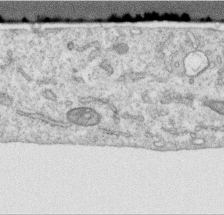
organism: Human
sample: Centriole in RPE cells